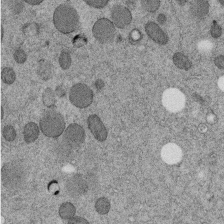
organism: C. elegans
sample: C. elegans embryo early stage